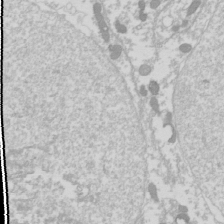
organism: Drosophila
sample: Cell division; meiosis; drosophila spermatocytes